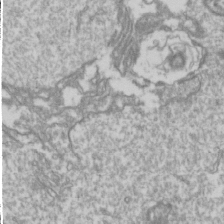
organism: Drosophila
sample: Cell division; meiosis; drosophila spermatocytes